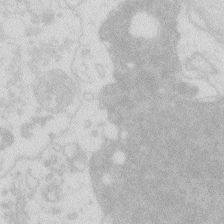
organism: Zebrafish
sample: Macrophage